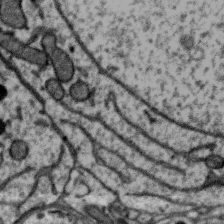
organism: Zebra finch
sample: Brain